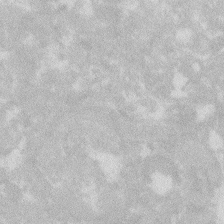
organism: Zebrafish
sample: Macrophage